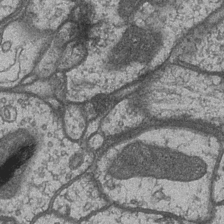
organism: Drosophila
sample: Optic medulla